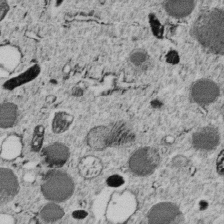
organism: C. elegans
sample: C. elegans embryo early stage